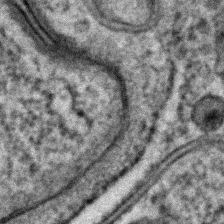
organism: C. elegans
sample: C. elegans embryo